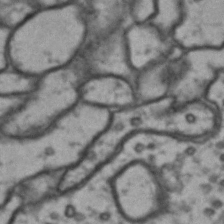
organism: Drosophila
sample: Brain